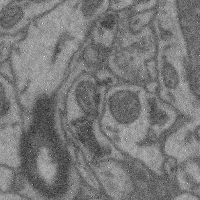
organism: Mouse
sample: Cerebral cortex